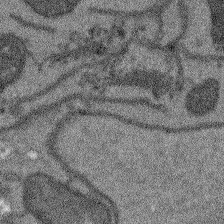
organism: Arabidopsis thaliana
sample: Root tip